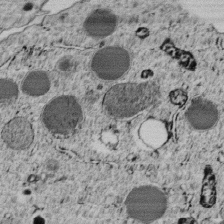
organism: C. elegans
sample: C. elegans embryo early stage